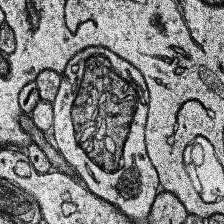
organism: Human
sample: Temporal Lobe